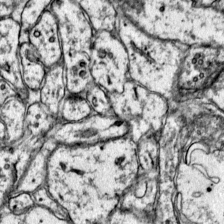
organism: Mouse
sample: Primary visual cortex